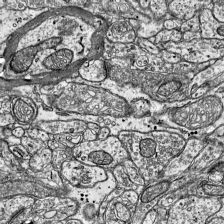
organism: Mouse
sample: Visual Cortex